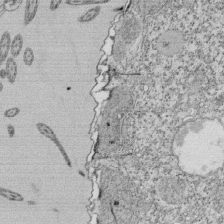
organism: Tetrahymena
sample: Cilia in tetrahymena